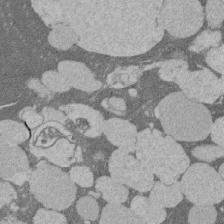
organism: Rat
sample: Salivary granule